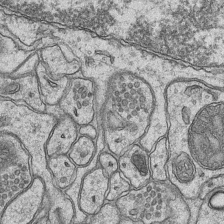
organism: Mouse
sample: CA1 Hippocampus